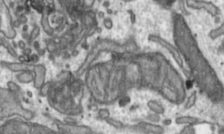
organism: Toxoplasma gondii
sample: Parasites in a vacuole inside a host cell